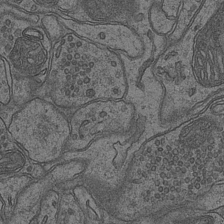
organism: Mouse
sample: CA1 Hippocampus